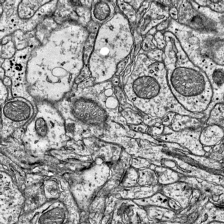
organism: Mouse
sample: Visual Cortex